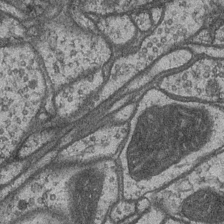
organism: Drosophila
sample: Optic medulla